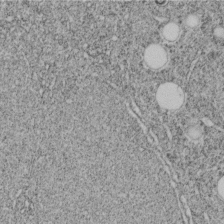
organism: C. elegans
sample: C. elegans embryo early stage